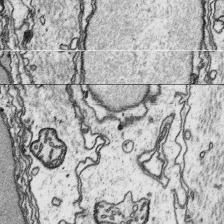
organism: Platynereis dumerilii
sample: Parapodia